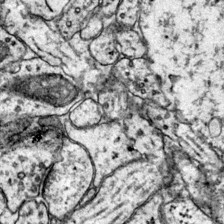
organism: Mouse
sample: Primary visual cortex